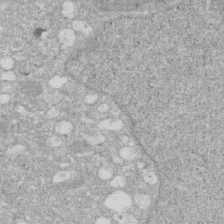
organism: Human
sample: HIV infected U937 cells